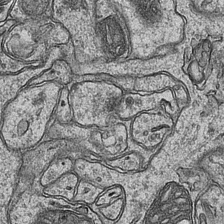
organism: Mouse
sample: CA1 Hippocampus